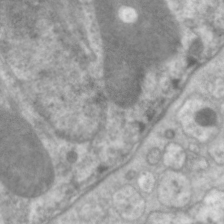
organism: C. elegans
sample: Pharynx